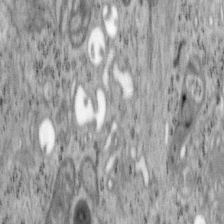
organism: Human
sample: HeLa cells